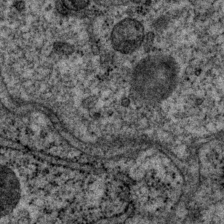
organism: P. pacificus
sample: Pharynx